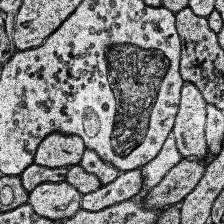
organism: Human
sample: Temporal Lobe